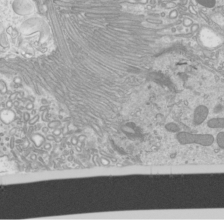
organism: Mouse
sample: Cilia; mouse epididymis